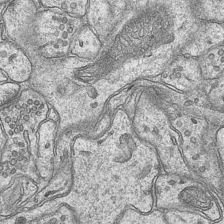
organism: Mouse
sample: CA1 Hippocampus